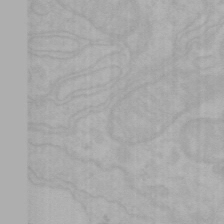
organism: Mouse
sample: Choroid plexus